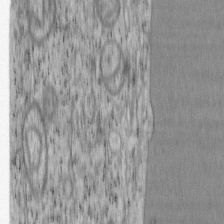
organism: Human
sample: HeLa cells